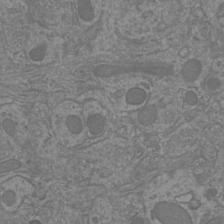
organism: Mouse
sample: Cortical neurons